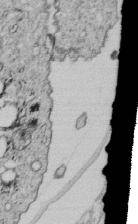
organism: C. elegans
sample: C. elegans embryo early stage